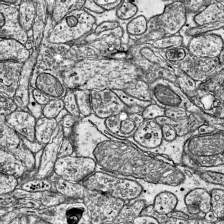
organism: Mouse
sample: Visual Cortex